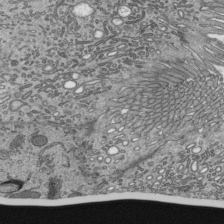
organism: Mouse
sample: Mouse epididymis efferent ductule cilia